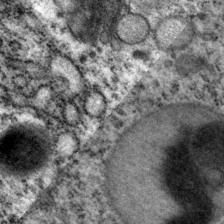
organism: P. pacificus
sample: Pharynx